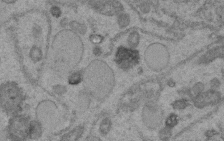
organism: C. elegans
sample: C. elegans embryo early stage